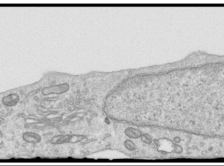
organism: Human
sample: Centriole in RPE cells